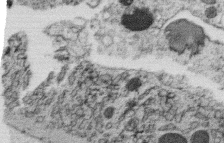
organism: C. elegans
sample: C. elegans oocyte; sperm cells